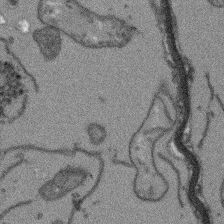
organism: Arabidopsis thaliana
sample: Root tip